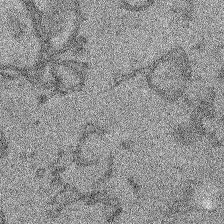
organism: Human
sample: HeLa cells